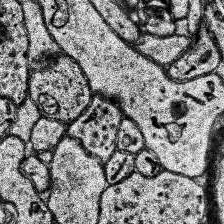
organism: Human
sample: Temporal Lobe